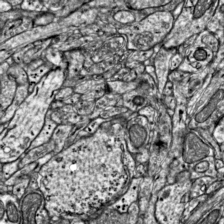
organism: Mouse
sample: Visual Cortex